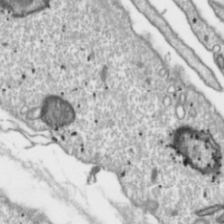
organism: Toxoplasma gondii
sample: Parasites in a vacuole inside a host cell